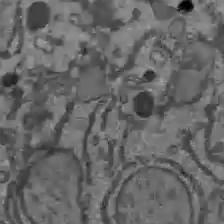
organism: C57BL Mouse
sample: Liver